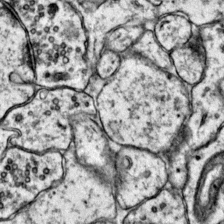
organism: Mouse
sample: Primary visual cortex